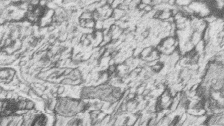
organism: Zebrafish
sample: synaptic ribbons in rod cells and cone cells